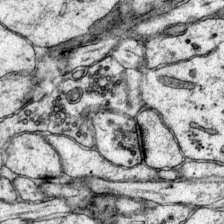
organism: Mouse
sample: Primary visual cortex